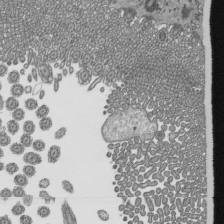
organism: Mouse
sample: Mouse epididymis efferent ductule cilia